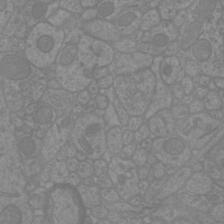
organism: Mouse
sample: Cortical neurons